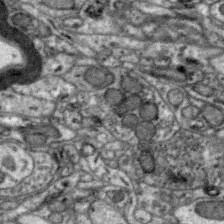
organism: Zebra finch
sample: Brain